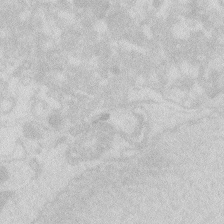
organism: Zebrafish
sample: Macrophage